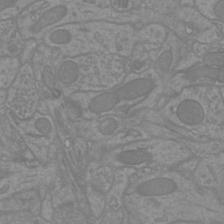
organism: Mouse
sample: Cortical neurons